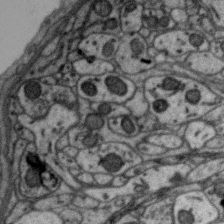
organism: Zebra finch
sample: Brain